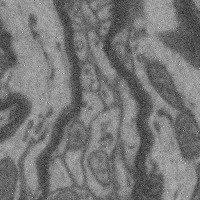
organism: Mouse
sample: Cerebral cortex